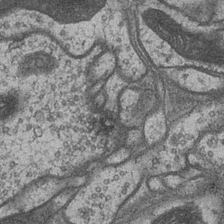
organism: Drosophila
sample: Optic medulla